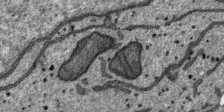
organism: Human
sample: Lung epithelial cells, uninfected (mock) control